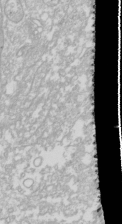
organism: Drosophila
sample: Cell division; meiosis; drosophila spermatocytes